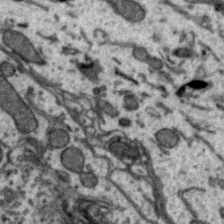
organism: Zebra finch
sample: Brain